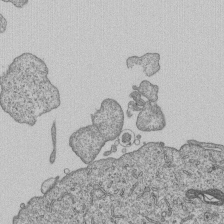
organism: Human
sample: MDA-MB-231 cells